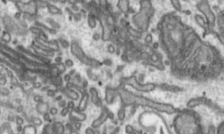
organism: Toxoplasma gondii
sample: Parasites in a vacuole inside a host cell